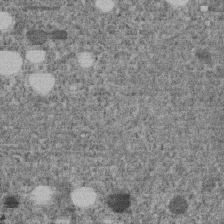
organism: C. elegans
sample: C. elegans embryo early stage